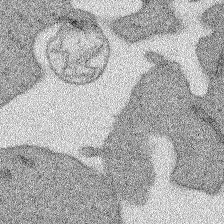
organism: Human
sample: HeLa cells